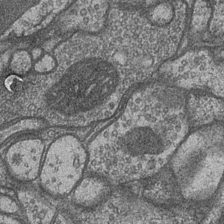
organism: Drosophila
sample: Optic medulla